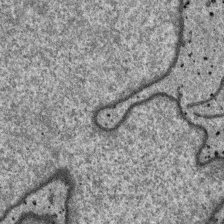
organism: Human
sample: Lung epithelial cells, uninfected (mock) control